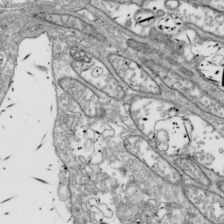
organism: Drosophila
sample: Cell division; meiosis; drosophila spermatocytes